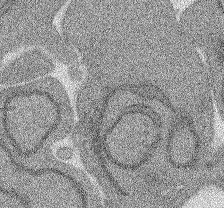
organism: Human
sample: HeLa cells